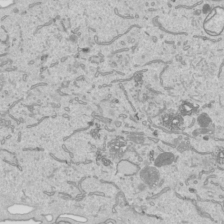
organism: Human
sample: Mitochondria in HCT116 cells